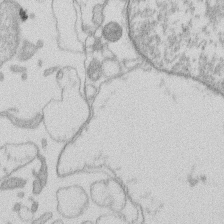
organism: Human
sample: Macrophage cells